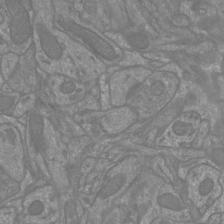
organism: Mouse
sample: Cortical neurons